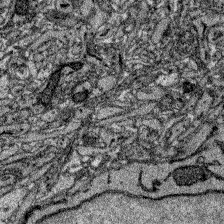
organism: Zebrafish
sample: Larval olfactory bulb